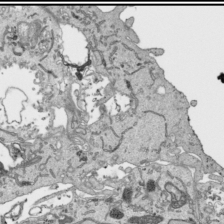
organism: Human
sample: Mitochondria in HCT116 cells